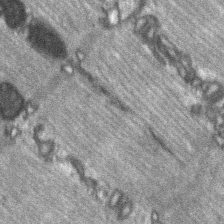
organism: C57BL Mouse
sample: Soleus